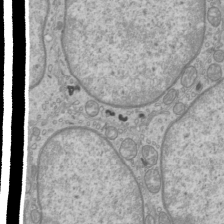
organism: Mouse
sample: Cilia; mouse epididymis